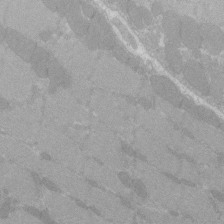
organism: C57BL Mouse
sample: Tibialis anterior muscle cell